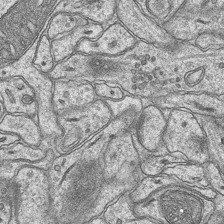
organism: Mouse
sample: CA1 Hippocampus